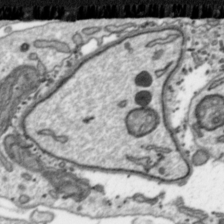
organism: Toxoplasma gondii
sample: Parasites in a vacuole inside a host cell